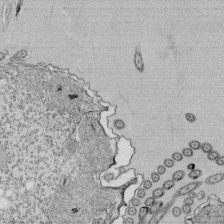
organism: Tetrahymena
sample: Cilia in tetrahymena